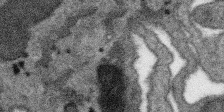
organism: Human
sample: Lung epithelial cells infected with SARS-CoV-2